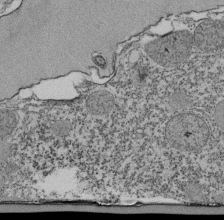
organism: Tetrahymena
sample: Cilia in tetrahymena